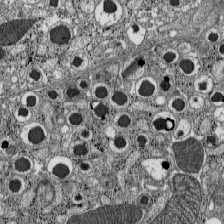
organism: C57BL Mouse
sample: Pancreatic islet